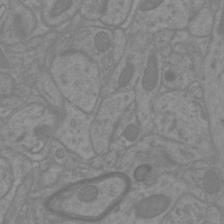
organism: Mouse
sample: Cortical neurons